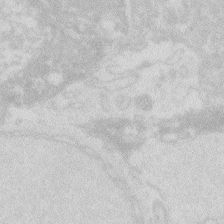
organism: Zebrafish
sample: Macrophage